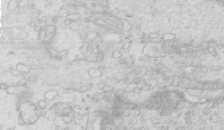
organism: Mouse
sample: Multiciliated cells